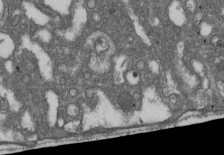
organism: Drosophila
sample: Nephrocyte